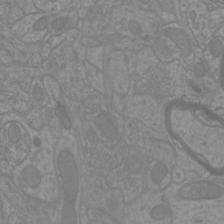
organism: Mouse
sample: Cortical neurons